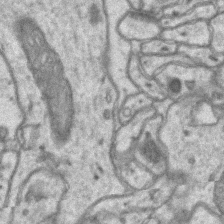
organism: Mouse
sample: CA1 Hippocampus